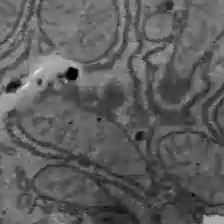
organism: C57BL Mouse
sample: Liver